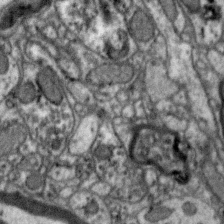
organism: Zebra finch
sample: Brain